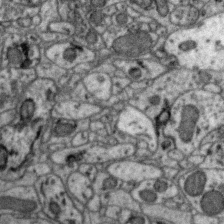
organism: Zebra finch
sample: Brain